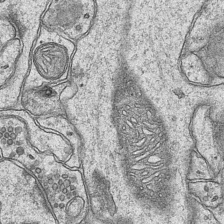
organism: Mouse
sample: CA1 Hippocampus